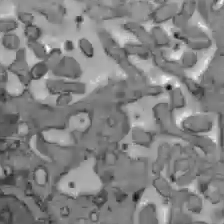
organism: C57BL Mouse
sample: Liver